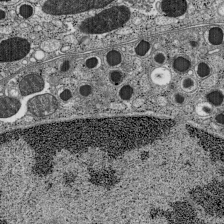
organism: C57BL Mouse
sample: Pancreatic islet